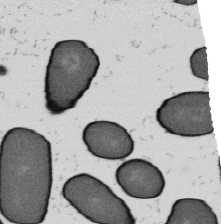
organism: B. subtilis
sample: Bacterial spore